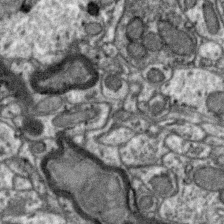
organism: Zebra finch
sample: Brain